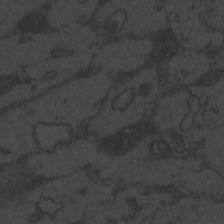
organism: Zebrafish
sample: Macrophage infected with Toxoplasma gondii